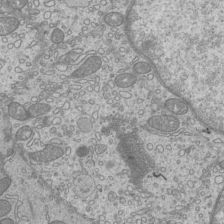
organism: Mouse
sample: Cilia; mouse epididymis